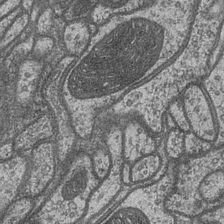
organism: Drosophila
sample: Optic medulla